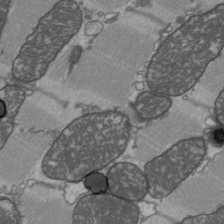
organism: C57BL Mouse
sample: Heart